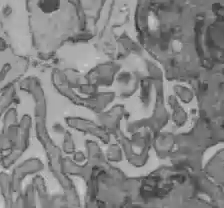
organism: C57BL Mouse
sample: Liver